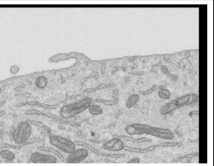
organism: Human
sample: Centriole in RPE cells